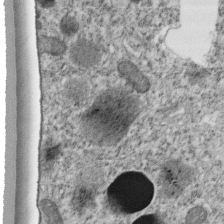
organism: C. elegans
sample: C. elegans embryo early stage